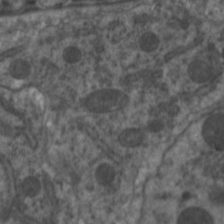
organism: C. elegans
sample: Pharynx